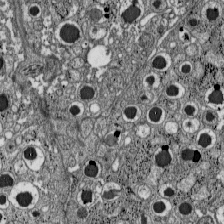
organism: C57BL Mouse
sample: Pancreatic islet